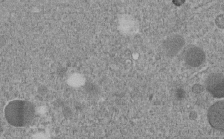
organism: C. elegans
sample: C. elegans embryo early stage